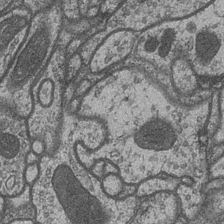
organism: Drosophila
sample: Optic medulla